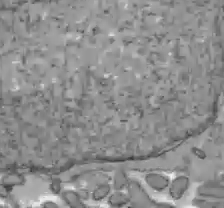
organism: C57BL Mouse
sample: Liver